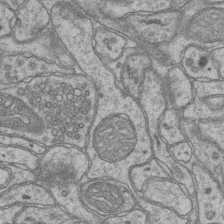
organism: Mouse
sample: CA1 Hippocampus